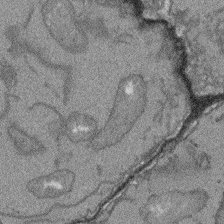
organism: Arabidopsis thaliana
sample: Root tip